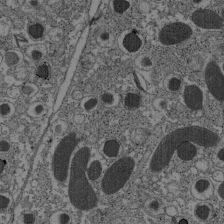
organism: C57BL Mouse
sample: Pancreatic islet